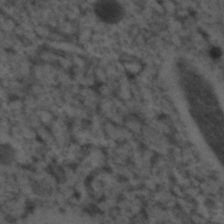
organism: C. elegans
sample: C. elegans embryo